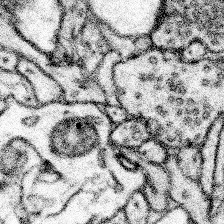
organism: Mouse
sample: Somatosensory cortex neuropil